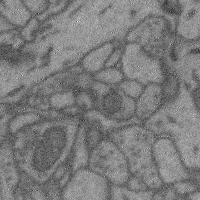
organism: Mouse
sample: Cerebral cortex